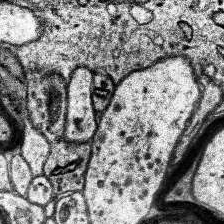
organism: Human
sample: Temporal Lobe